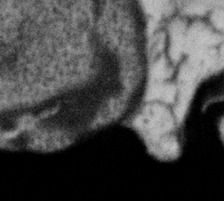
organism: Gemmata obscuriglobus